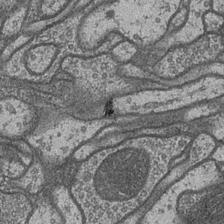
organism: Drosophila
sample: Optic medulla